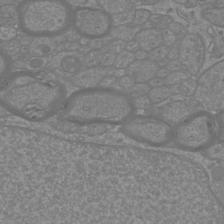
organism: Mouse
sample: Cortical neurons